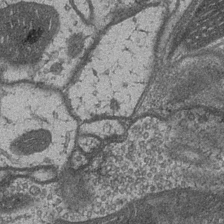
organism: Drosophila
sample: Optic medulla